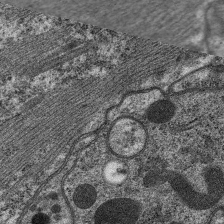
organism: C. elegans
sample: Pharynx